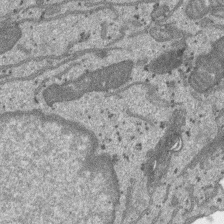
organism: Human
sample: Lung epithelial cells infected with SARS-CoV-2